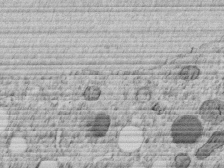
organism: C. elegans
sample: C. elegans embryo early stage